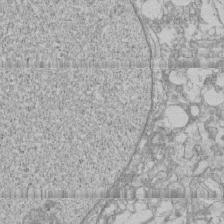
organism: Human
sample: CRL-1474